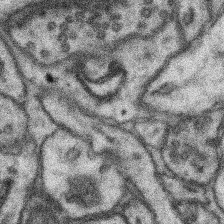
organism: Mouse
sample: Somatosensory cortex neuropil